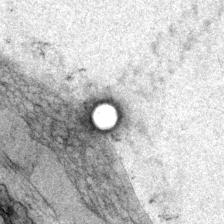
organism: P. pacificus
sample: Pharynx